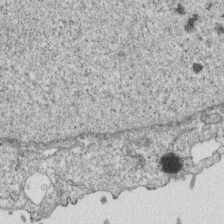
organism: Human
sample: HeLa cell HIV synapse